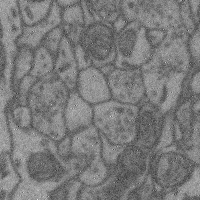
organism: Mouse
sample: Cerebral cortex